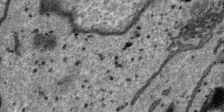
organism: Human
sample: Lung epithelial cells, uninfected (mock) control